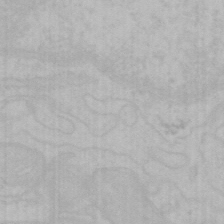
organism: Mouse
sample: Choroid plexus